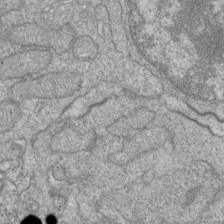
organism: Zebrafish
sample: Cilia; retinal pigment epithelium